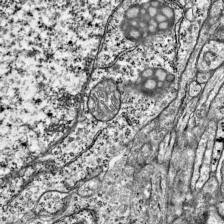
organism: Mouse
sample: Visual Cortex